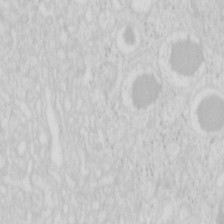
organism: Mouse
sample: Pancreas